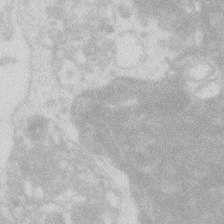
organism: Zebrafish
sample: Macrophage